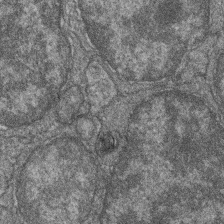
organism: Zebrafish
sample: Cilia; retinal pigment epithelium